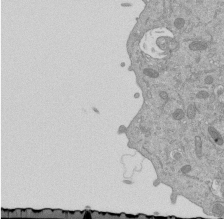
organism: Mouse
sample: ED-1 cell nuclei; centrioles